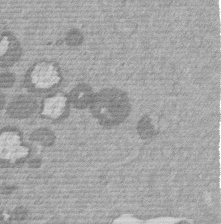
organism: Mouse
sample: Dividing mouse embryo 1 cell stage